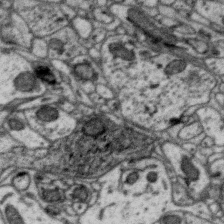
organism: Zebra finch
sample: Brain